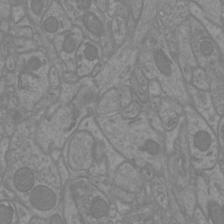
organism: Mouse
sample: Cortical neurons